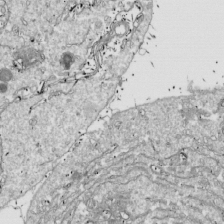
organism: Drosophila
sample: Cell division; meiosis; drosophila spermatocytes